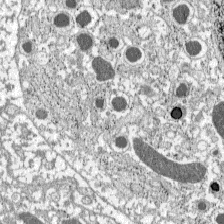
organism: C57BL Mouse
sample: Pancreatic islet